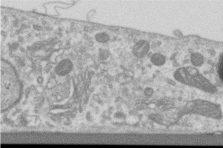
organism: Human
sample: Centriole in RPE cells